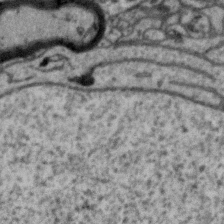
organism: Zebra finch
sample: Brain